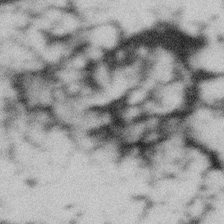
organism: Gemmata obscuriglobus